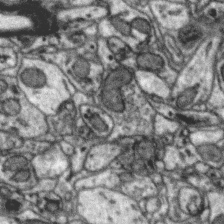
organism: Zebra finch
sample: Brain